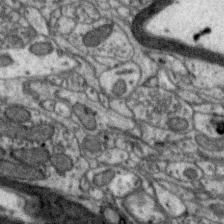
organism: Zebra finch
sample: Brain